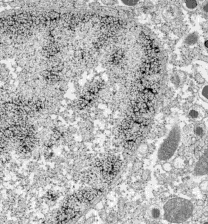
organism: C57BL Mouse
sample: Pancreatic islet